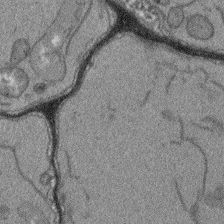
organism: Arabidopsis thaliana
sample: Root tip